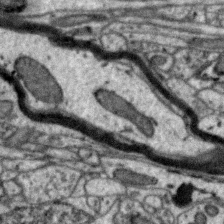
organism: Zebra finch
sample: Brain